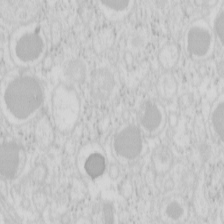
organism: Mouse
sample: Pancreas